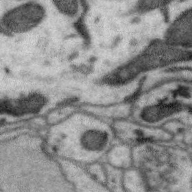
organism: Zebra finch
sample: Brain